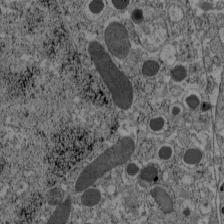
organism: C57BL Mouse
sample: Pancreatic islet